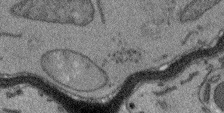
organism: Arabidopsis thaliana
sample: Root tip